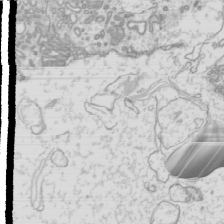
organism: Mouse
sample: Cilia; mouse epididymis